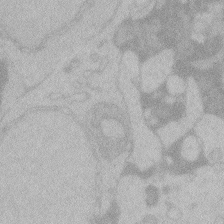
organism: Zebrafish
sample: Macrophage infected with Toxoplasma gondii